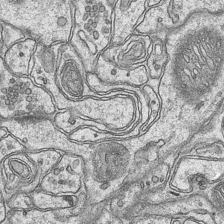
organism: Mouse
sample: CA1 Hippocampus